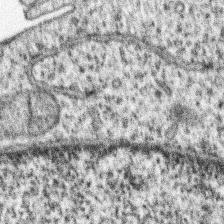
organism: Human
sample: HeLa cells